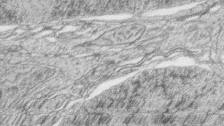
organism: Zebrafish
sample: synaptic ribbons in rod cells and cone cells